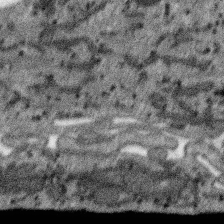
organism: Human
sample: Lung epithelial cells infected with SARS-CoV-2